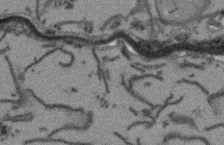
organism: Arabidopsis thaliana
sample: Root tip